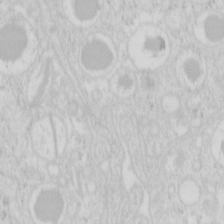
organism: Mouse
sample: Pancreas